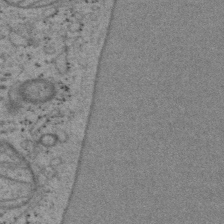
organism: Human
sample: HeLa cells